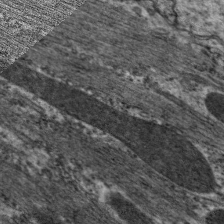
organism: C. elegans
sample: Pharynx